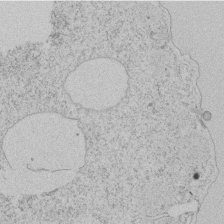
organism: Tetrahymena